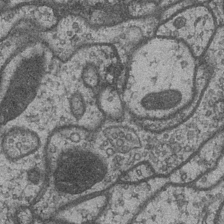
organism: Drosophila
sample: Optic medulla